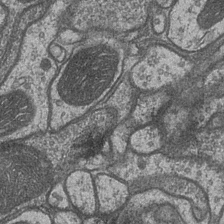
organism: Drosophila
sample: Optic medulla